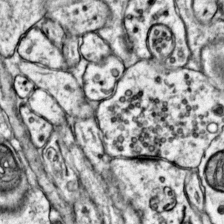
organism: Mouse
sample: Primary visual cortex